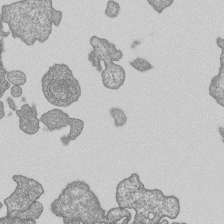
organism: Human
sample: MDA-MB-231 cells